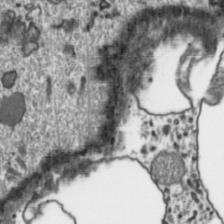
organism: Toxoplasma gondii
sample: Parasites in a vacuole inside a host cell